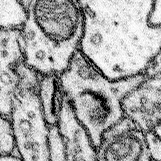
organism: Mouse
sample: Somatosensory cortex neuropil